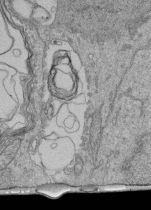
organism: Human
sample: Retinal organoid Rod and Cone cells